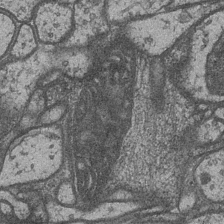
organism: Drosophila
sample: Optic medulla